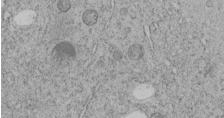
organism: C. elegans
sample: C. elegans embryo early stage